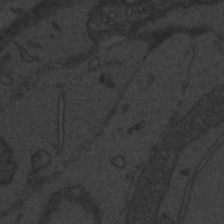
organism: Zebrafish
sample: Macrophage infected with Toxoplasma gondii